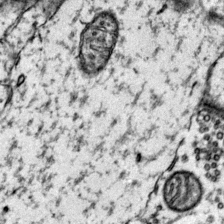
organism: Mouse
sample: Primary visual cortex